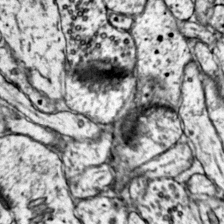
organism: Mouse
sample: Primary visual cortex